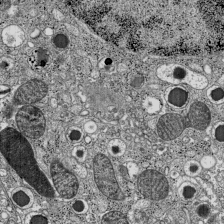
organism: C57BL Mouse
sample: Pancreatic islet